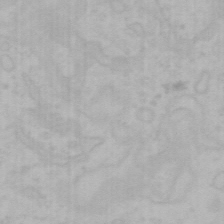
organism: Mouse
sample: Choroid plexus